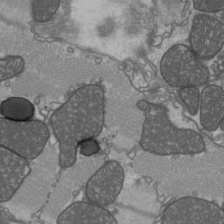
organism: C57BL Mouse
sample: Heart